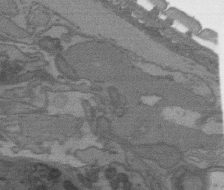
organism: C. elegans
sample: AFD neurons C. elegans